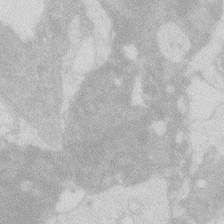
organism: Zebrafish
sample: Macrophage